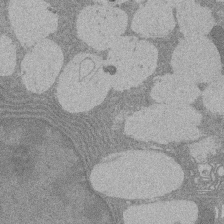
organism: Rat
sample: Salivary granule